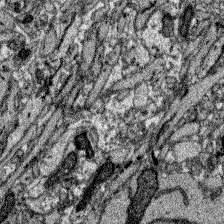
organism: Zebrafish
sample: Larval olfactory bulb